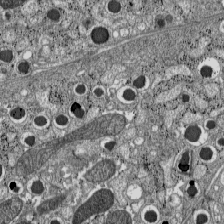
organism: C57BL Mouse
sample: Pancreatic islet